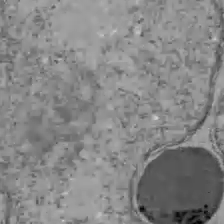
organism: C57BL Mouse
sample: Liver